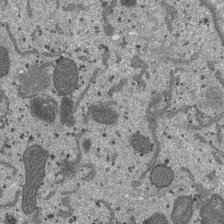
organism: Human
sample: Lung epithelial cells infected with SARS-CoV-2